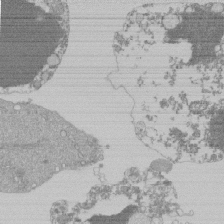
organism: Mouse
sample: Activated Pmel transgenic CD8+ T Cells